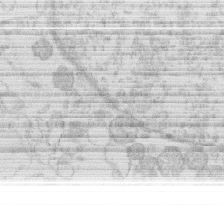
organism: Human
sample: Macrophage cells